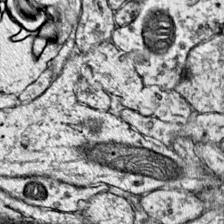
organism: Mouse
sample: Primary visual cortex